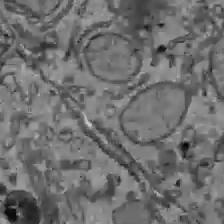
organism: C57BL Mouse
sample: Liver